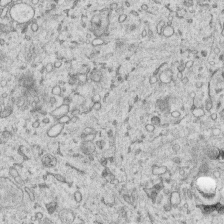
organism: Human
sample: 1205lu cells